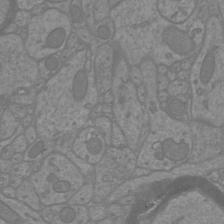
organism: Mouse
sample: Cortical neurons